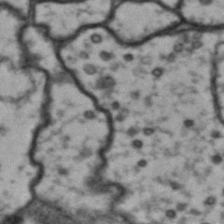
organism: Drosophila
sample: Brain